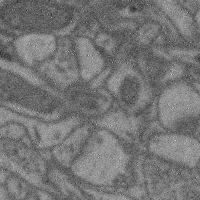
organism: Mouse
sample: Cerebral cortex